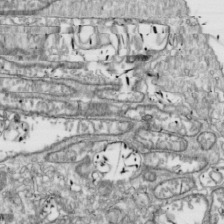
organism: Drosophila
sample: Cell division; meiosis; drosophila spermatocytes